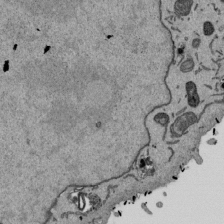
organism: Mouse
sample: ED-1 cell nuclei; centrioles